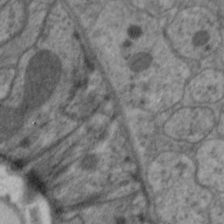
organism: C. elegans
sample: Pharynx